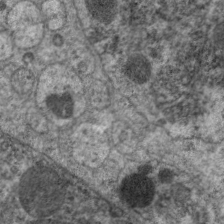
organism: C. elegans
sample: Pharynx